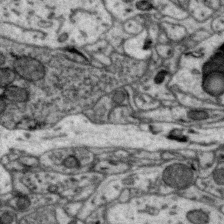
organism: Zebra finch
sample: Brain